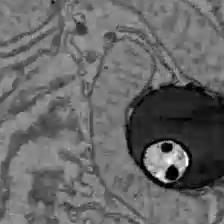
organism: C57BL Mouse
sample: Liver